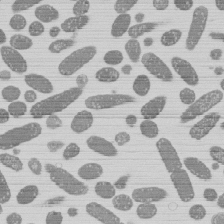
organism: E. coli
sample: Bacterial nucleoid